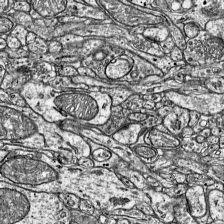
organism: Mouse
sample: Visual Cortex